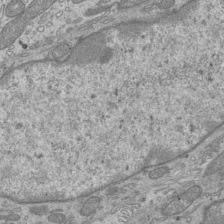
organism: Mouse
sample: Cilia; mouse epididymis